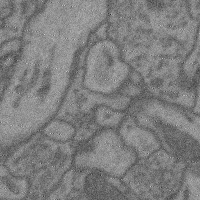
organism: Mouse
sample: Cerebral cortex